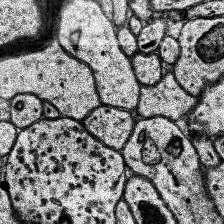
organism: Human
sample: Temporal Lobe